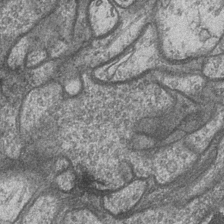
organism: Drosophila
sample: Optic medulla